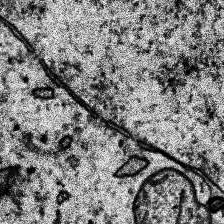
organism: Human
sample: Temporal Lobe